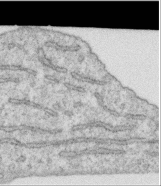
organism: Human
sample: Centriole in RPE cells